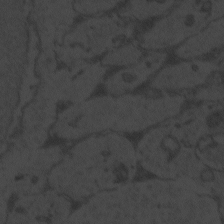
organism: Zebrafish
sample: Macrophage infected with Toxoplasma gondii